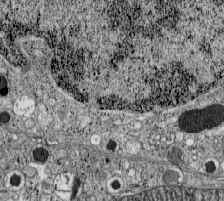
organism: C57BL Mouse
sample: Pancreatic islet